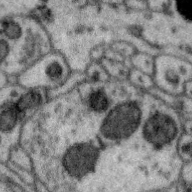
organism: Zebra finch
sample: Brain